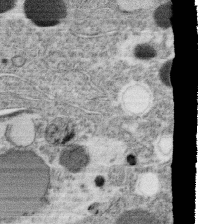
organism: C. elegans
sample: C. elegans oocyte; sperm cells